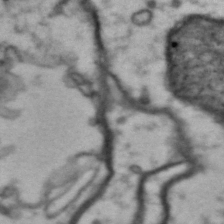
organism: Drosophila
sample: Brain